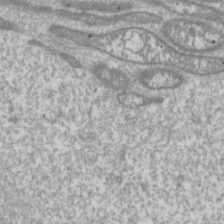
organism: Drosophila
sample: Cell division; meiosis; drosophila spermatocytes